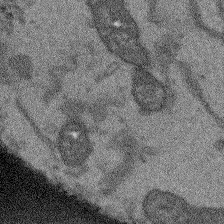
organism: Arabidopsis thaliana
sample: Root tip